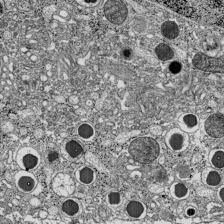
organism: C57BL Mouse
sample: Pancreatic islet